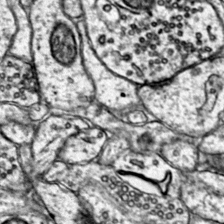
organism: Mouse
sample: Primary visual cortex